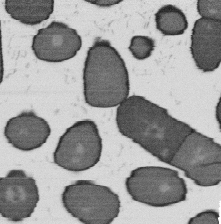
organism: B. subtilis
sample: Bacterial spore